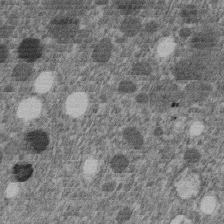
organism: C. elegans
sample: C. elegans embryo early stage